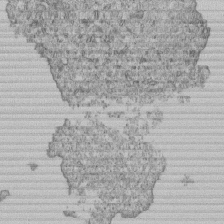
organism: Human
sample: MDA-MB-231 cells